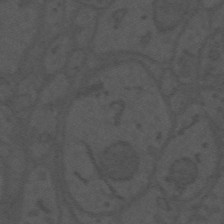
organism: Mouse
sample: Suprachiasmatic nucleus